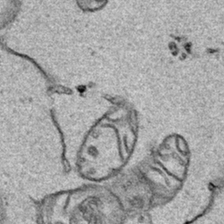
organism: Human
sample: Mitochondria in HCT116 cells